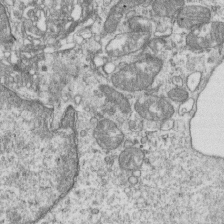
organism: Mouse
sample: Activated OT-1 CD8+ T cells